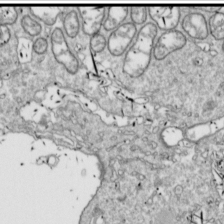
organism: Drosophila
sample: Cell division; meiosis; drosophila spermatocytes